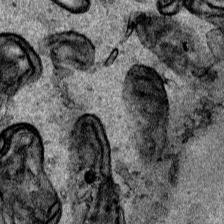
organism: Human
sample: Mitochondria in HCT116 cells